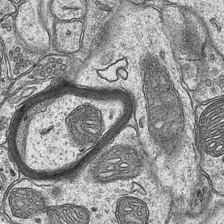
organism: Mouse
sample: CA1 Hippocampus